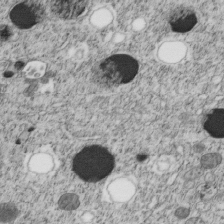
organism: C. elegans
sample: C. elegans embryo early stage